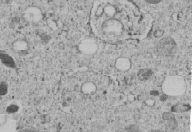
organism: C. elegans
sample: C. elegans embryo early stage